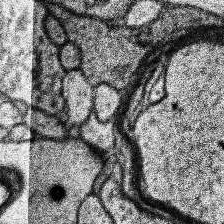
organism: Human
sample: Temporal Lobe